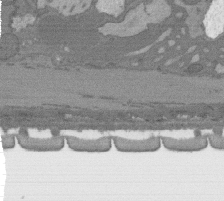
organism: C. elegans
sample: AFD neurons C. elegans